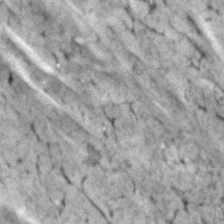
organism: Human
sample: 1205lu cells